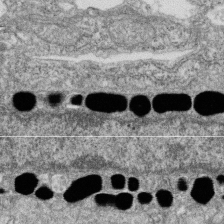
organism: Zebrafish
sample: Cilia; retinal pigment epithelium